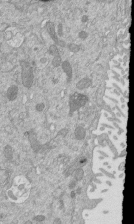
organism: Mouse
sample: ED-1 cell nuclei; centrioles